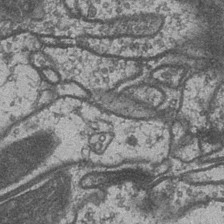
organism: Drosophila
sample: Optic medulla